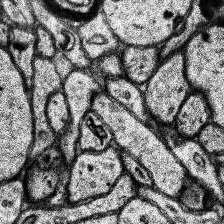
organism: Human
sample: Temporal Lobe